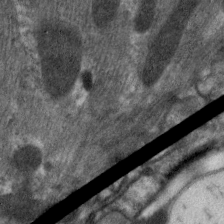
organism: C. elegans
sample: Pharynx